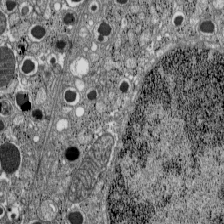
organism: C57BL Mouse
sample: Pancreatic islet